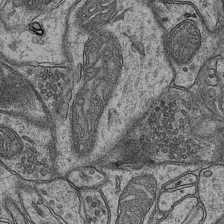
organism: Mouse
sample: CA1 Hippocampus